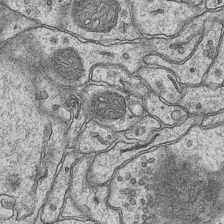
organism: Mouse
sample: CA1 Hippocampus